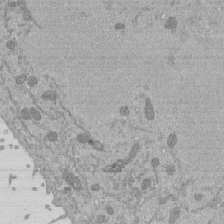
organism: Mouse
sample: ED-1 cell nuclei; centrioles